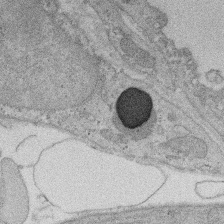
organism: Rat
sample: Salivary granule